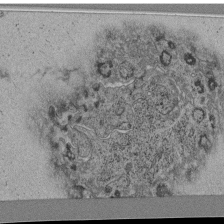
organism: C. elegans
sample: C. elegans pharynx